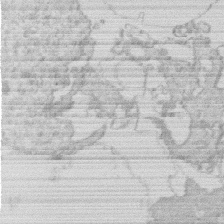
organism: Human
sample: Macrophage cells